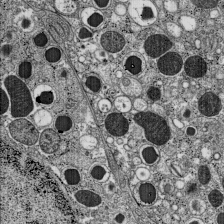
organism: C57BL Mouse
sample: Pancreatic islet